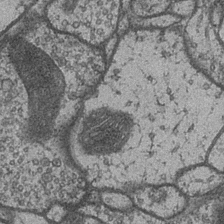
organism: Drosophila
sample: Optic medulla